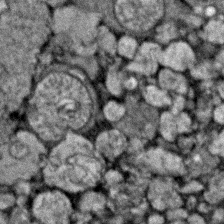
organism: Zebrafish